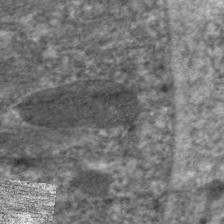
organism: C. elegans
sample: Pharynx